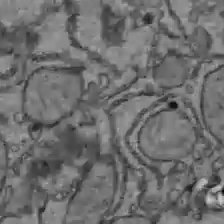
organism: C57BL Mouse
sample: Liver